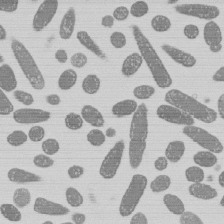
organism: E. coli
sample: Bacterial nucleoid